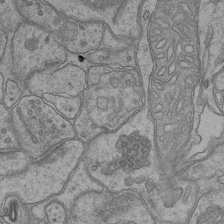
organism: Mouse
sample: CA1 Hippocampus